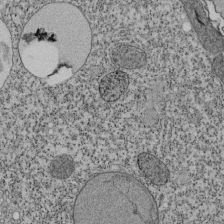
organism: Tetrahymena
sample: Cilia in tetrahymena